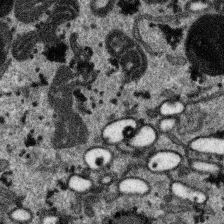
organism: Human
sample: Lung epithelial cells infected with SARS-CoV-2